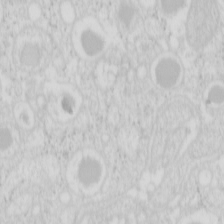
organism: Mouse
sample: Pancreas